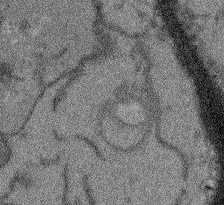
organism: Arabidopsis thaliana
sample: Root tip